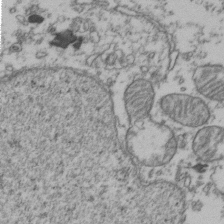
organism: Human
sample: Activated Jurkat CD4+ T cells